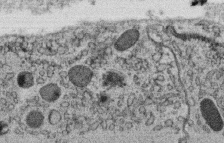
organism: C. elegans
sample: C. elegans oocyte; sperm cells